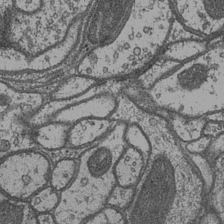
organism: Drosophila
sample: Optic medulla